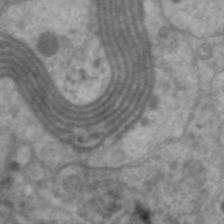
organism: C. elegans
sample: Pharynx